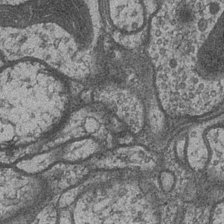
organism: Drosophila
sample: Optic medulla